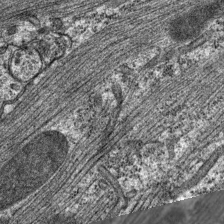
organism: C. elegans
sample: Pharynx